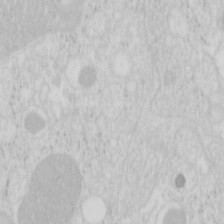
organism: Mouse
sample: Pancreas